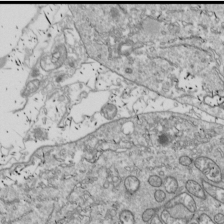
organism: Drosophila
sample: Cell division; meiosis; drosophila spermatocytes